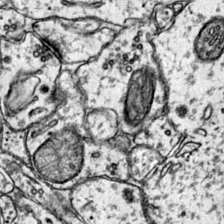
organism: Mouse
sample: Primary visual cortex